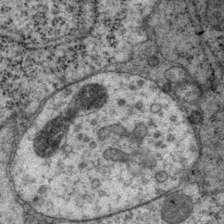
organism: P. pacificus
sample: Pharynx